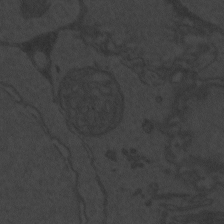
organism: Zebrafish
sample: Macrophage infected with Toxoplasma gondii